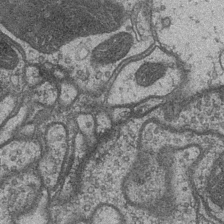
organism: Drosophila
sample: Optic medulla